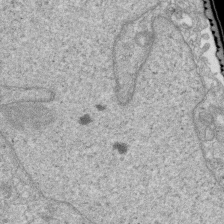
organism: Human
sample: HeLa cell HIV synapse